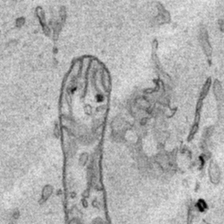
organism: Human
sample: Mitochondria in HCT116 cells